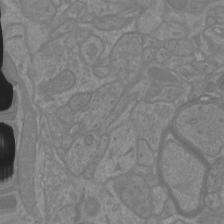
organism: Mouse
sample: Cortical neurons